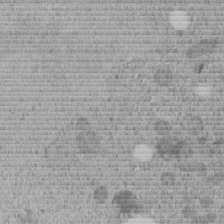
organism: C. elegans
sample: C. elegans embryo early stage